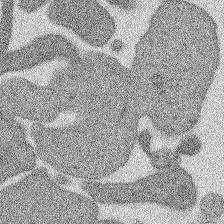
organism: Human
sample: HeLa cells